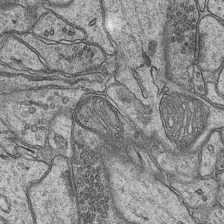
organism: Mouse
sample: CA1 Hippocampus